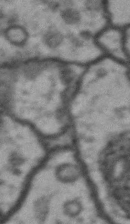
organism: Drosophila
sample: Brain